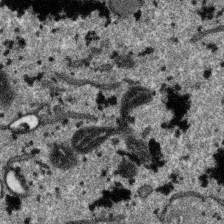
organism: Human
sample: Lung epithelial cells infected with SARS-CoV-2